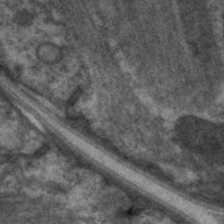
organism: C. elegans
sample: Pharynx